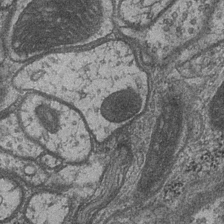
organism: Drosophila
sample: Optic medulla